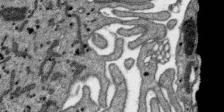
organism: Human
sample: Lung epithelial cells, uninfected (mock) control